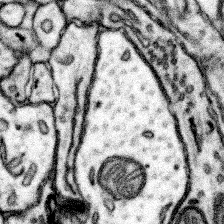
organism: Mouse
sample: Somatosensory cortex neuropil